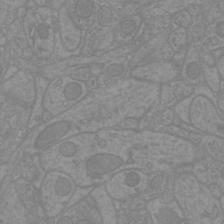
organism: Mouse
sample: Cortical neurons